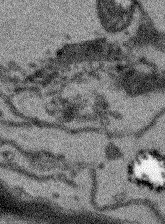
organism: Arabidopsis thaliana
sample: Root tip